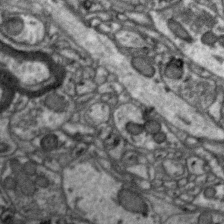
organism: Zebra finch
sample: Brain